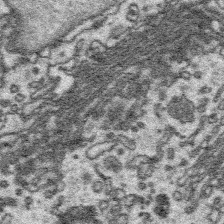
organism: Platynereis dumerilii